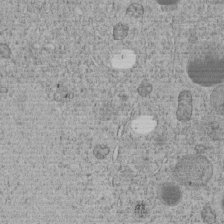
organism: C. elegans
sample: C. elegans embryo early stage